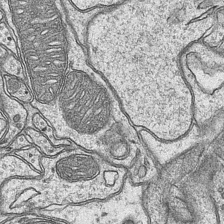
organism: Mouse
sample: CA1 Hippocampus